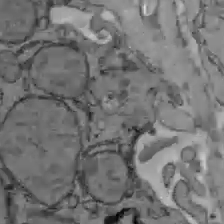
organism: C57BL Mouse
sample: Liver